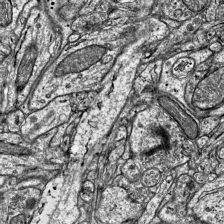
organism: Mouse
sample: Visual Cortex